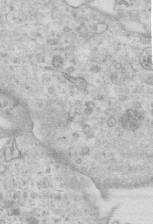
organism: Mouse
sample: Centriole in ependymal cells